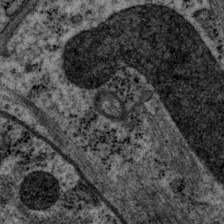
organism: P. pacificus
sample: Pharynx